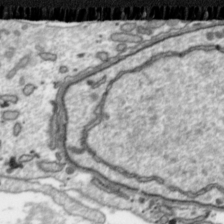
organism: Toxoplasma gondii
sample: Parasites in a vacuole inside a host cell